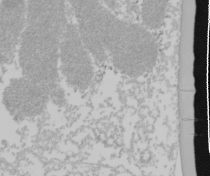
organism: Mouse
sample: Cancer cell death in ED-1 cells